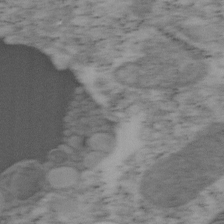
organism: Mouse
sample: OT-I killer T cells with ID8 ovarian cancer cells